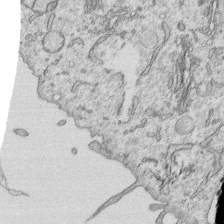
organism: Human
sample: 1205lu cells